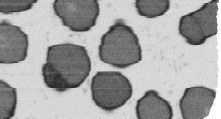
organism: B. subtilis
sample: Bacterial spore